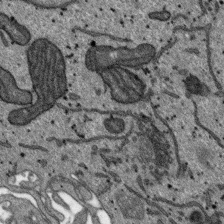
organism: Human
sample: Lung epithelial cells, uninfected (mock) control